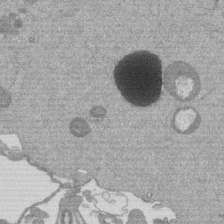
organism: Mouse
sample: Dividing mouse embryo 1 cell stage